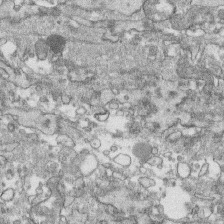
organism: Human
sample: CRL-1474